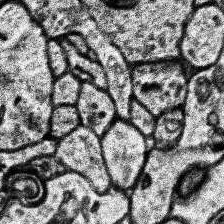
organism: Human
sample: Temporal Lobe